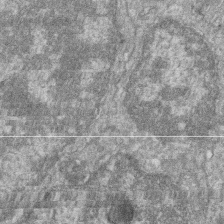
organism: Zebrafish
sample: Cilia; retinal pigment epithelium